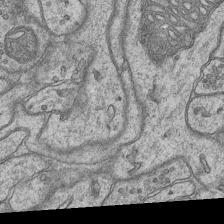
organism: Mouse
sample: CA1 Hippocampus